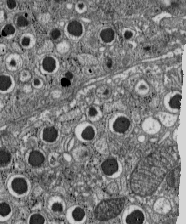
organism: C57BL Mouse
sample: Pancreatic islet